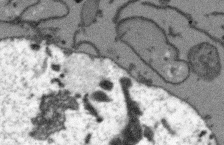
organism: Arabidopsis thaliana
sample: Root tip